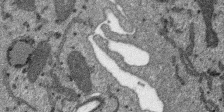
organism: Human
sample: Lung epithelial cells infected with SARS-CoV-2